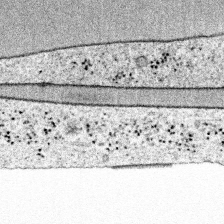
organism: Human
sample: HeLa cells